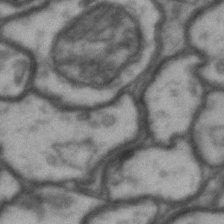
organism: Drosophila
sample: Brain